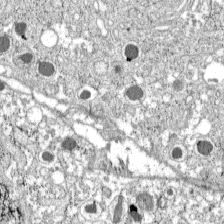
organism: C57BL Mouse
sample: Pancreatic islet